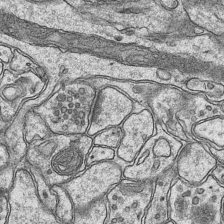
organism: Mouse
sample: CA1 Hippocampus